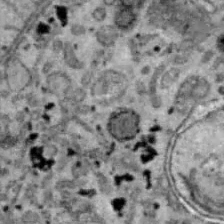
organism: Mouse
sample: Liver from an obese (ob/ob) mouse